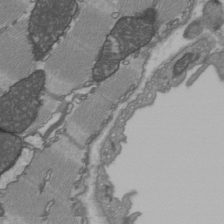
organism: C57BL Mouse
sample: Heart